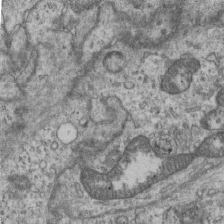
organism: Mouse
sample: Centriole in ependymal cells